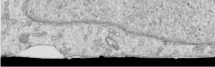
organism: Human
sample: Centriole in RPE cells